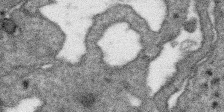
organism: Human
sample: Lung epithelial cells infected with SARS-CoV-2